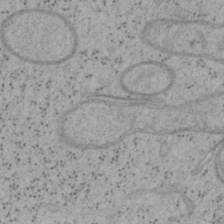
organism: Human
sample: HeLa cells